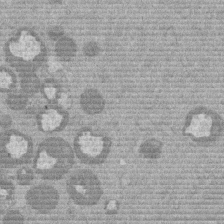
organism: Mouse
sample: Dividing mouse embryo 1 cell stage